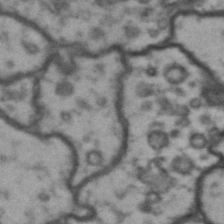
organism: Drosophila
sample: Brain